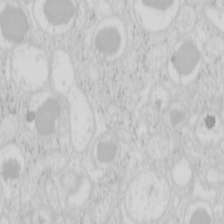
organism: Mouse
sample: Pancreas